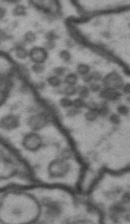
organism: Drosophila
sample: Brain